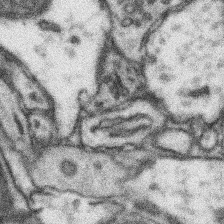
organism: Mouse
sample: Somatosensory cortex neuropil